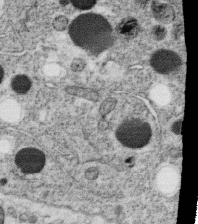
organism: C. elegans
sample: C. elegans oocyte; sperm cells